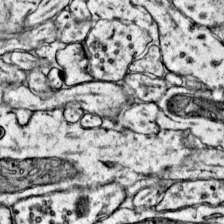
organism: Mouse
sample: Primary visual cortex